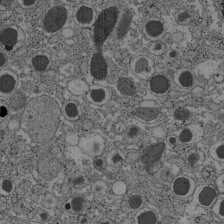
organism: C57BL Mouse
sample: Pancreatic islet